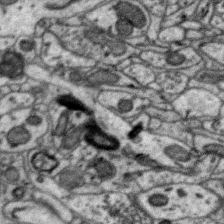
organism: Zebra finch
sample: Brain